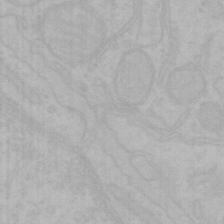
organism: Mouse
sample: Choroid plexus